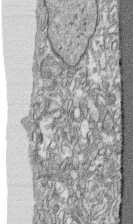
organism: Human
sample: CRL-1474